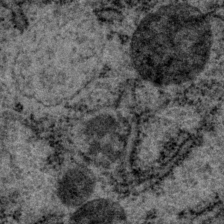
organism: P. pacificus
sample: Pharynx